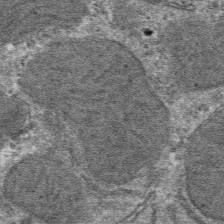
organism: Mouse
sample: Mouse hepatocytes